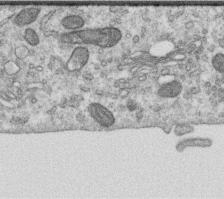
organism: Human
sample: Centriole in RPE cells